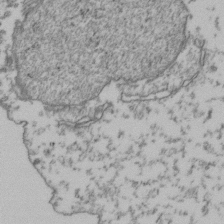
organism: Human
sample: Activated Jurkat CD4+ T cells